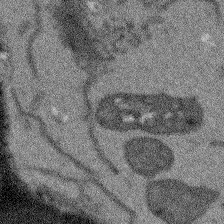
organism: Arabidopsis thaliana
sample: Root tip